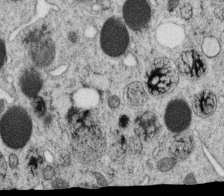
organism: C. elegans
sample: C. elegans oocyte; sperm cells